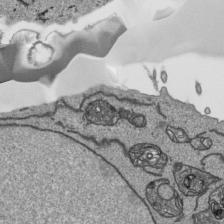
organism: Human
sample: Mitochondria in HCT116 cells